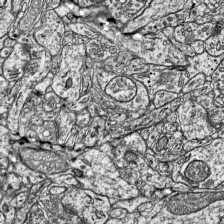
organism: Mouse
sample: Visual Cortex